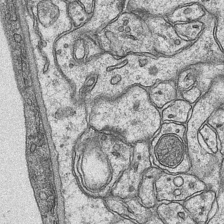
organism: Mouse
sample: CA1 Hippocampus